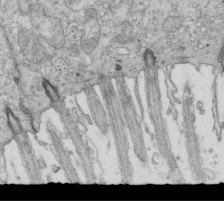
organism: Mouse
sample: Multiciliated cells